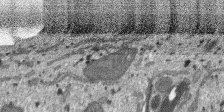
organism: Human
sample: Lung epithelial cells infected with SARS-CoV-2